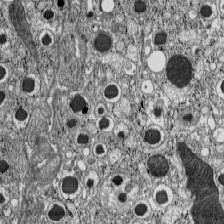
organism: C57BL Mouse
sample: Pancreatic islet